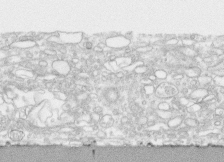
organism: Human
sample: CRL-1474